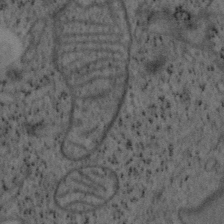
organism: Human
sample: HeLa cells